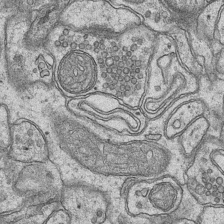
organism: Mouse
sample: CA1 Hippocampus